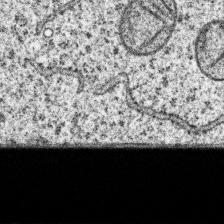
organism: Human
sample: HeLa cells